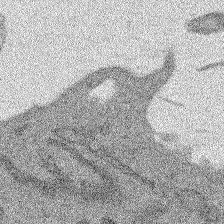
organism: Human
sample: HeLa cells